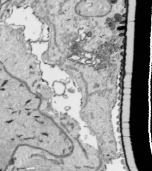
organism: Human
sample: Mitochondria in HCT116 cells